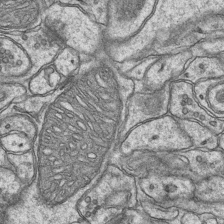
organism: Mouse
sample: CA1 Hippocampus